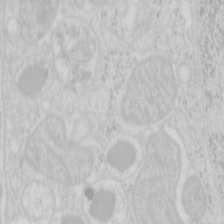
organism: Mouse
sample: Pancreas